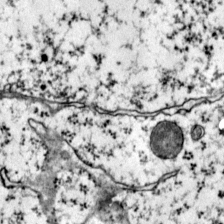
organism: Mouse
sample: Primary visual cortex